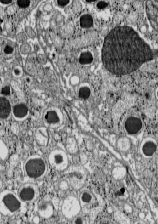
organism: C57BL Mouse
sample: Pancreatic islet